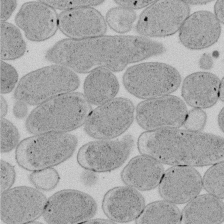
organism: E. coli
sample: Bacterial nucleoid